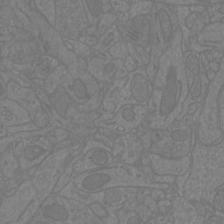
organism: Mouse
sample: Cortical neurons